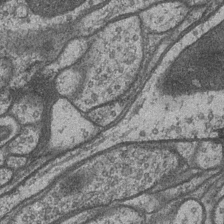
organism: Drosophila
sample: Optic medulla